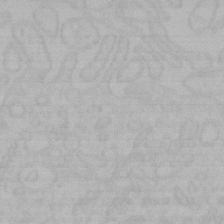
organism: Mouse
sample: Choroid plexus